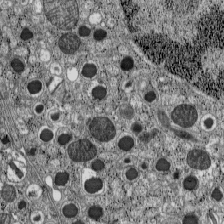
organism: C57BL Mouse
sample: Pancreatic islet